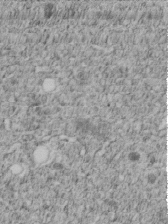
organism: C. elegans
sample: C. elegans embryo early stage